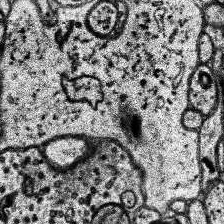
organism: Human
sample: Temporal Lobe